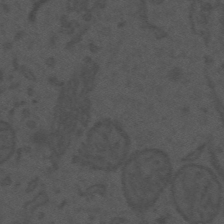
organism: Mouse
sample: Suprachiasmatic nucleus